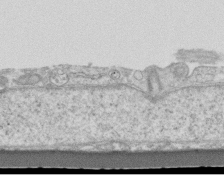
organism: Mouse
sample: Centriole in ependymal cells